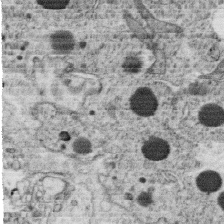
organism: C. elegans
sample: C. elegans oocyte; sperm cells